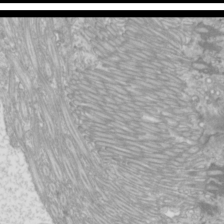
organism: Mouse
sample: Cilia; mouse epididymis